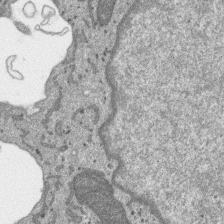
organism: Human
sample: Lung epithelial cells infected with SARS-CoV-2